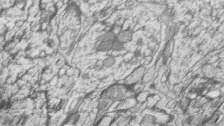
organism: Zebrafish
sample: synaptic ribbons in rod cells and cone cells